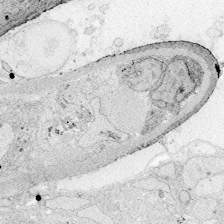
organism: Zebrafish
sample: Whole-Brain